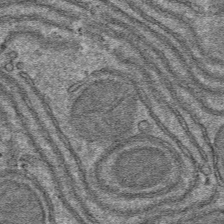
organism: Mouse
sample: Mouse hepatocytes